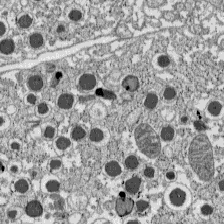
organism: C57BL Mouse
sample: Pancreatic islet